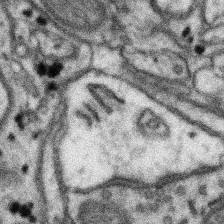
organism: Mouse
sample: Somatosensory cortex neuropil